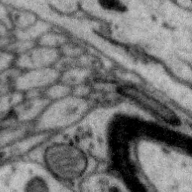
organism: Zebra finch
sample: Brain